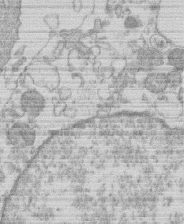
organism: Human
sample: Macrophage cells